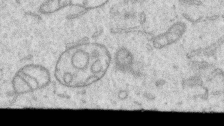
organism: Human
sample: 1205lu cells